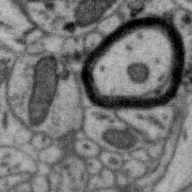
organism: Zebra finch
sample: Brain